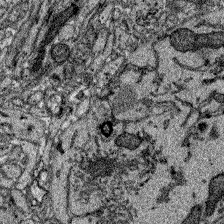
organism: Zebrafish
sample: Larval olfactory bulb